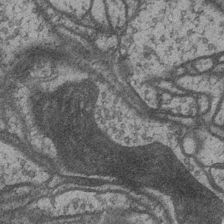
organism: Drosophila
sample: Optic medulla